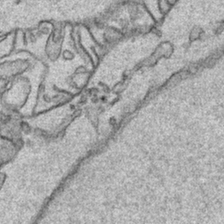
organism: Human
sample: Mitochondria in HCT116 cells